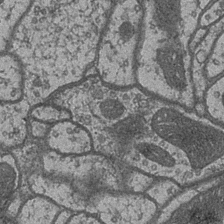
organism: Drosophila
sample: Optic medulla